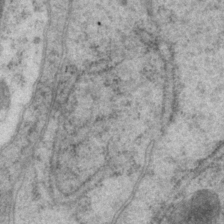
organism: P. pacificus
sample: Pharynx